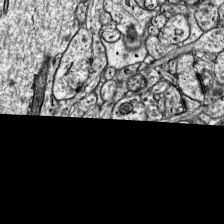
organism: Mouse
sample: Visual Cortex